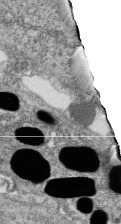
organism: Zebrafish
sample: Cilia; retinal pigment epithelium